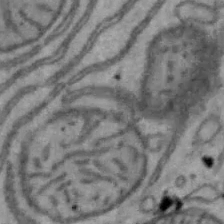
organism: Mouse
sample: Liver